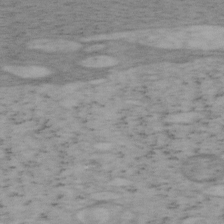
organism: Mouse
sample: OT-I killer T cells with ID8 ovarian cancer cells